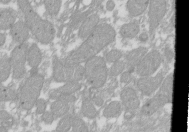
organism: Xenopus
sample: Cilia; centrioles in frog embryo cells